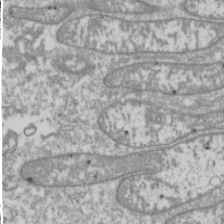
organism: Drosophila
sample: Cell division; meiosis; drosophila spermatocytes